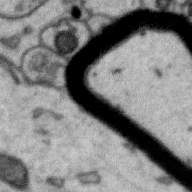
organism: Zebra finch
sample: Brain